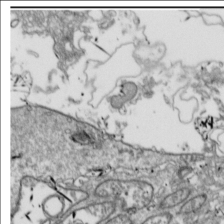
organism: Drosophila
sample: Cell division; meiosis; drosophila spermatocytes